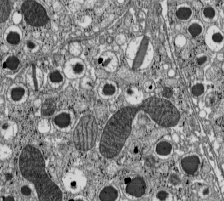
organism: C57BL Mouse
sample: Pancreatic islet